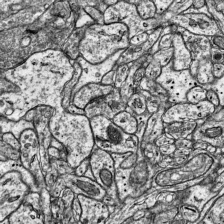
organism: Mouse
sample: Visual Cortex